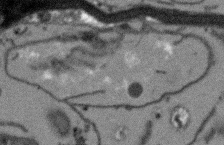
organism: Arabidopsis thaliana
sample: Root tip